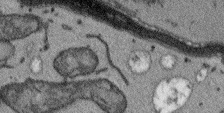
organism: Arabidopsis thaliana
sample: Root tip